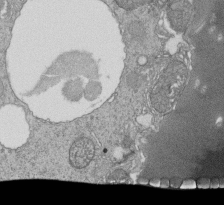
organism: Tetrahymena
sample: Cilia in tetrahymena